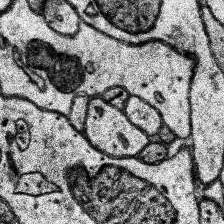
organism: Human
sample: Temporal Lobe